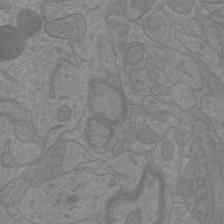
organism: Mouse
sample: Cortical neurons